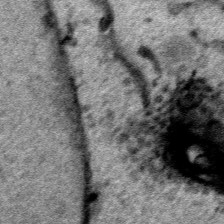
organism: Human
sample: Mitochondria in HCT116 cells